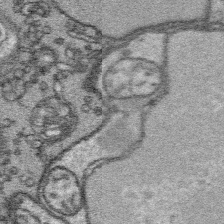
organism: Platynereis dumerilii